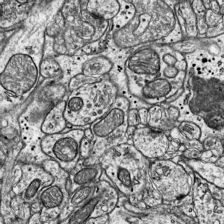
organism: Mouse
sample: Visual Cortex